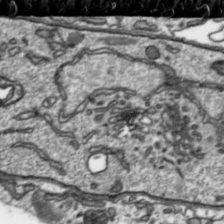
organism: Toxoplasma gondii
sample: Parasites in a vacuole inside a host cell